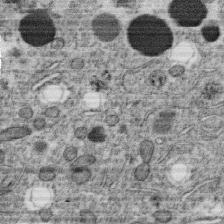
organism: C. elegans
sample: C. elegans oocyte; sperm cells